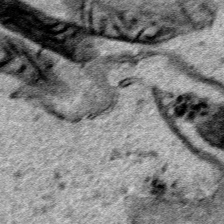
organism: Human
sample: Mitochondria in HCT116 cells